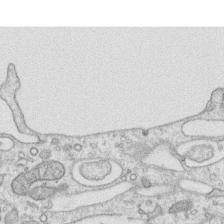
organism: Human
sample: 1205lu cells